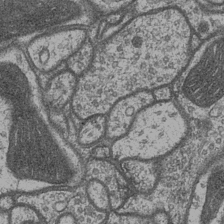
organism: Drosophila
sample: Optic medulla